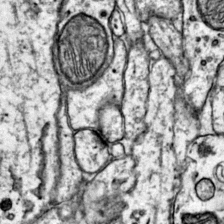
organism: Mouse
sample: Primary visual cortex